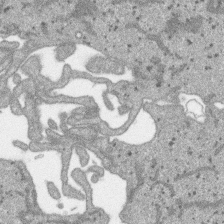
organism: Human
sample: Lung epithelial cells infected with SARS-CoV-2